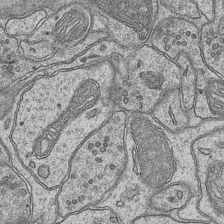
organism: Mouse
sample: CA1 Hippocampus